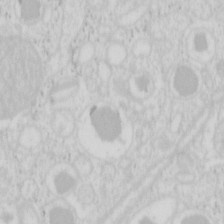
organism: Mouse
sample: Pancreas